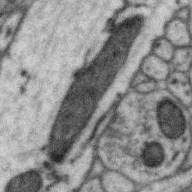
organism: Zebra finch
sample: Brain